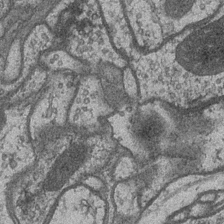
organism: Drosophila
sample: Optic medulla